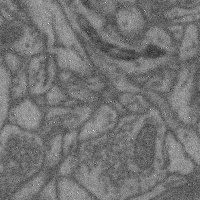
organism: Mouse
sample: Cerebral cortex